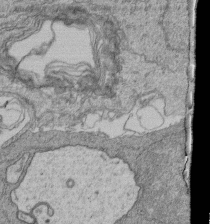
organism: Human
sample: Retinal organoid Rod and Cone cells